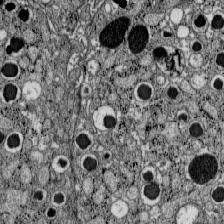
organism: C57BL Mouse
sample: Pancreatic islet